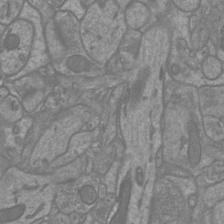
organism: Mouse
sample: Cortical neurons